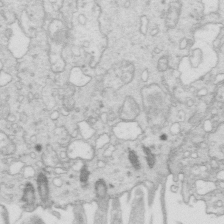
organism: Mouse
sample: Multiciliated cells